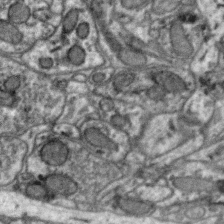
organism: Zebra finch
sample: Brain